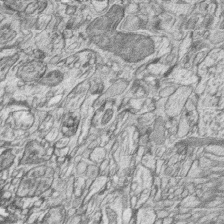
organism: Zebrafish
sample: synaptic ribbons in rod cells and cone cells